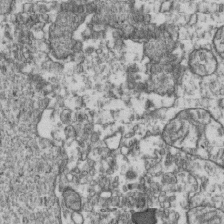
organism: Human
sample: Activated Jurkat CD4+ T cells